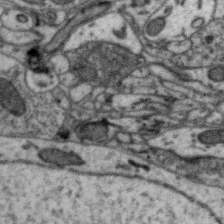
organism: Zebra finch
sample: Brain